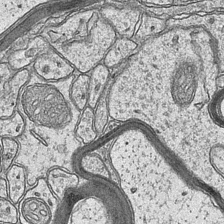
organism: Mouse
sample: CA1 Hippocampus